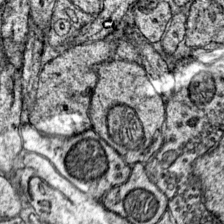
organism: Mouse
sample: Primary visual cortex